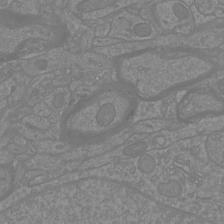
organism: Mouse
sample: Cortical neurons